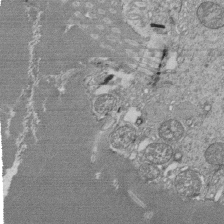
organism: Tetrahymena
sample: Cilia in tetrahymena